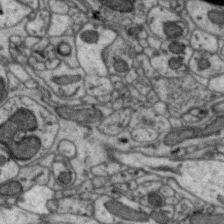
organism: Zebra finch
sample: Brain